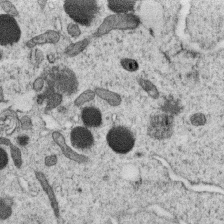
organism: C. elegans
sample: C. elegans oocyte; sperm cells